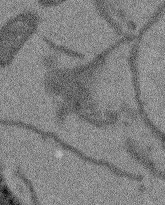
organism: Arabidopsis thaliana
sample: Root tip